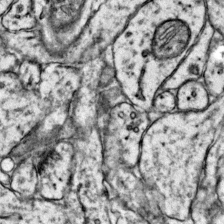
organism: Mouse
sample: Primary visual cortex